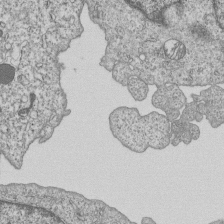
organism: Human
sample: MDA-MB-231 cells